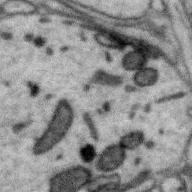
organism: Zebra finch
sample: Brain